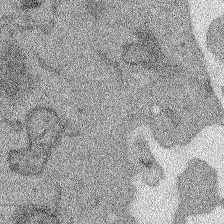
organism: Human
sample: HeLa cells